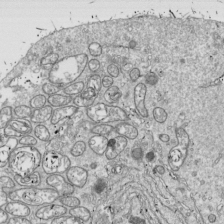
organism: Drosophila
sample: Cell division; meiosis; drosophila spermatocytes